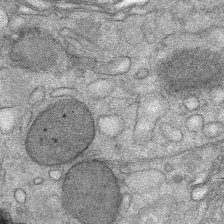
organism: Mouse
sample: Mouse Salivary gland